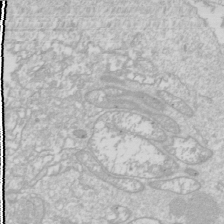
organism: Drosophila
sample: Cell division; meiosis; drosophila spermatocytes